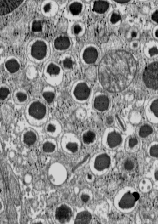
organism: C57BL Mouse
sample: Pancreatic islet